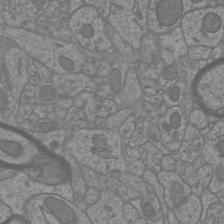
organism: Mouse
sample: Cortical neurons